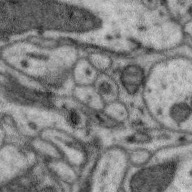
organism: Zebra finch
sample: Brain